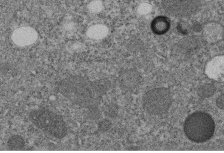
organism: C. elegans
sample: C. elegans embryo early stage